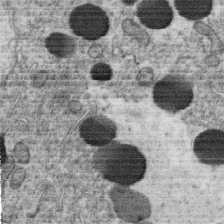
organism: C. elegans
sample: C. elegans oocyte; sperm cells